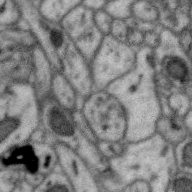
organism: Zebra finch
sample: Brain